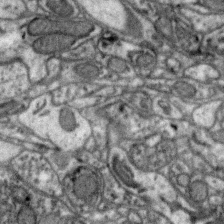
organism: Zebra finch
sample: Brain